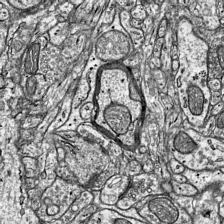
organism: Mouse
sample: Visual Cortex